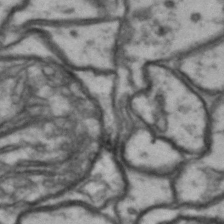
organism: Drosophila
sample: Brain